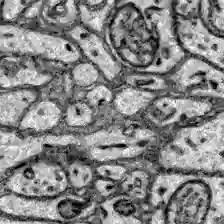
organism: Zebrafish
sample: Brain